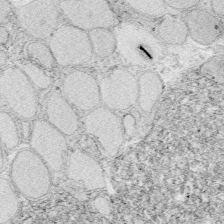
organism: Zebrafish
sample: Whole-Brain